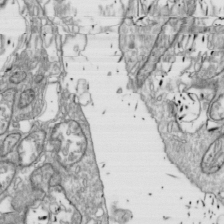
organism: Drosophila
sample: Cell division; meiosis; drosophila spermatocytes